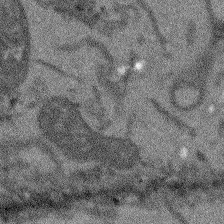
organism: Arabidopsis thaliana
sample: Root tip